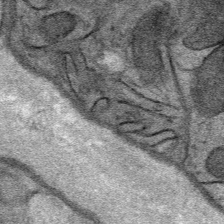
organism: Mouse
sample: Mouse Salivary gland